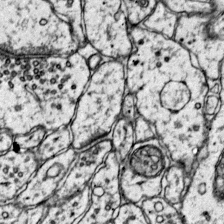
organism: Mouse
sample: Primary visual cortex